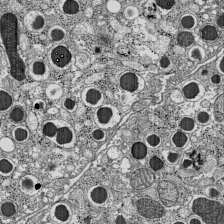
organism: C57BL Mouse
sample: Pancreatic islet